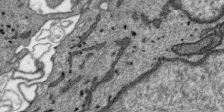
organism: Human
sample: Lung epithelial cells, uninfected (mock) control